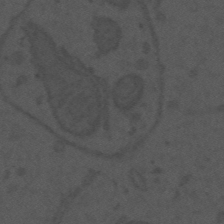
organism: Mouse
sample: Suprachiasmatic nucleus